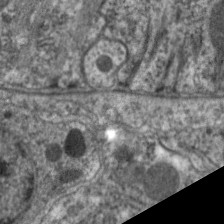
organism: C. elegans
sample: Pharynx